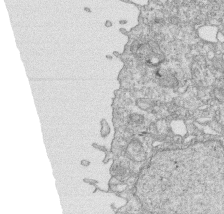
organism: Human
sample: HeLa cell HIV synapse